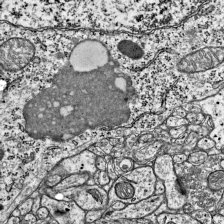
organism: Mouse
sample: Visual Cortex